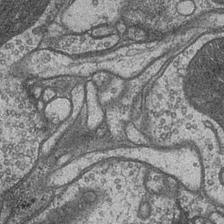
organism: Drosophila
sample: Optic medulla